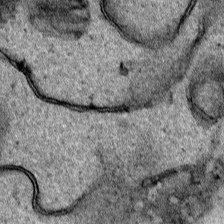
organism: Human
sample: Mitochondria in HCT116 cells